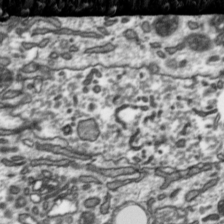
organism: Toxoplasma gondii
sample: Parasites in a vacuole inside a host cell